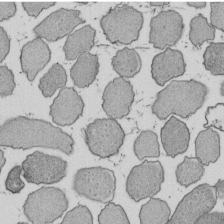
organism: E. coli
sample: Bacterial nucleoid